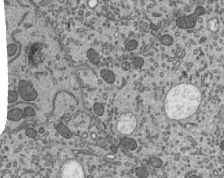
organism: Mouse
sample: Mouse epididymis efferent ductule cilia